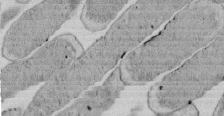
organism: E. coli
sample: Bacterial nucleoid